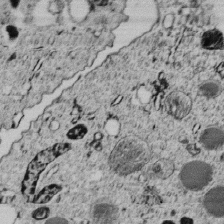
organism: C. elegans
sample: C. elegans embryo early stage